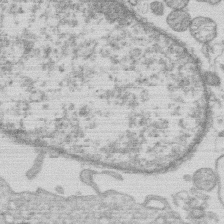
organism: Human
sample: Macrophage cells